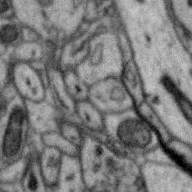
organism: Zebra finch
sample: Brain